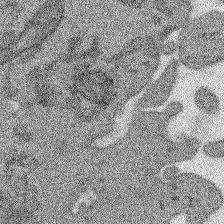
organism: Human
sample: HeLa cells